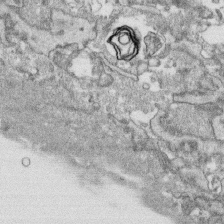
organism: Human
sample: CRL-1474